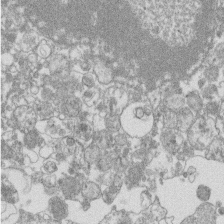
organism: Human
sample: HeLa cell HIV synapse